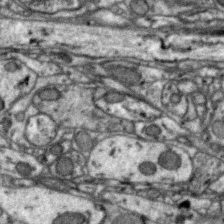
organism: Zebra finch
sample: Brain